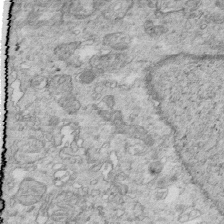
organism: Mouse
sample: Multiciliated cells